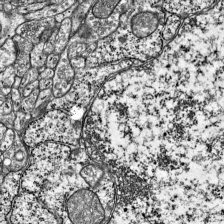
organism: Mouse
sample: Visual Cortex